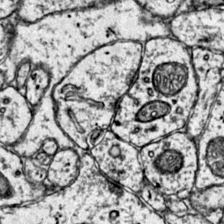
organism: Mouse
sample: Primary visual cortex